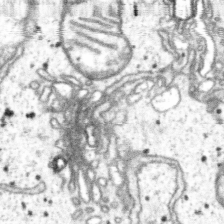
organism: Human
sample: HeLa cells